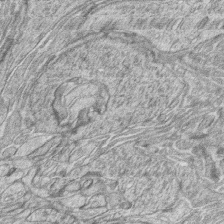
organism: Zebrafish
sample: synaptic ribbons in rod cells and cone cells